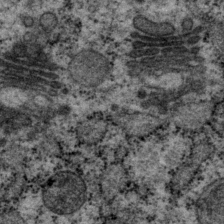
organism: P. pacificus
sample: Pharynx